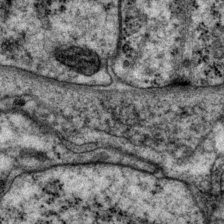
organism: P. pacificus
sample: Pharynx